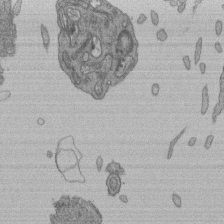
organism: Human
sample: Retinal organoid Rod and Cone cells